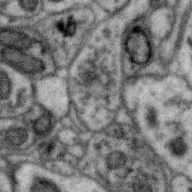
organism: Zebra finch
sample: Brain